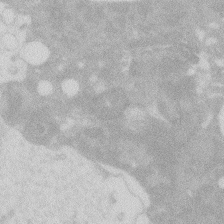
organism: Zebrafish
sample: Macrophage